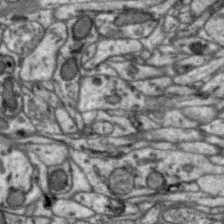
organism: Zebra finch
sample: Brain